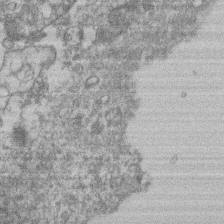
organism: Mouse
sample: T cell stromal cell synapse